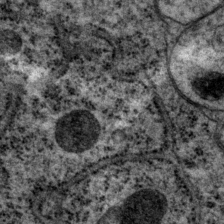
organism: P. pacificus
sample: Pharynx